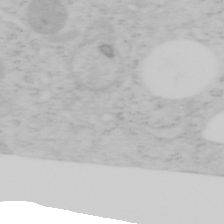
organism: Mouse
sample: OT-I killer T cells with ID8 ovarian cancer cells